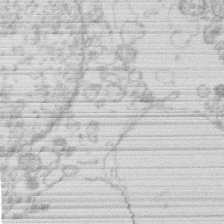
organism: Human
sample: Macrophage cells